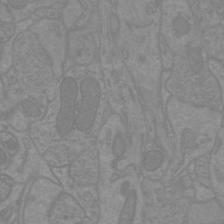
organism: Mouse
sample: Cortical neurons